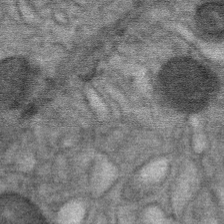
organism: Mouse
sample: Mouse Salivary gland